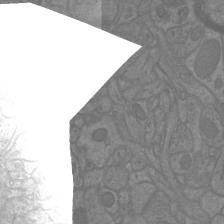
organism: Mouse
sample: Cortical neurons